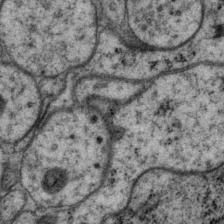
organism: P. pacificus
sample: Pharynx